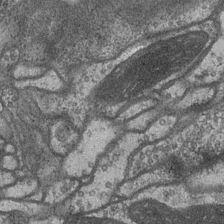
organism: Drosophila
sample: Optic medulla